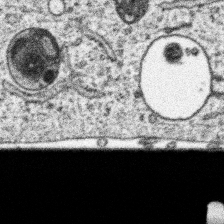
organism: Human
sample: HeLa cells